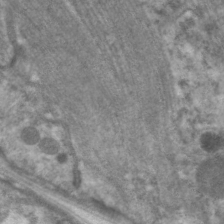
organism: C. elegans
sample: Pharynx